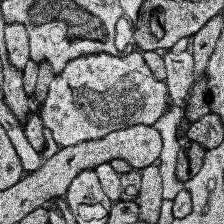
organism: Human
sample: Temporal Lobe